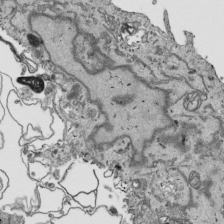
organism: Human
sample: Mitochondria in HCT116 cells